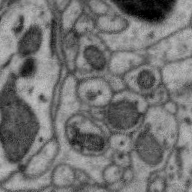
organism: Zebra finch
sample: Brain